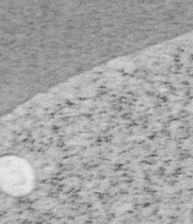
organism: Mouse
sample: OT-I killer T cells with ID8 ovarian cancer cells